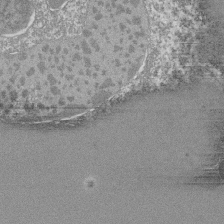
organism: Tetrahymena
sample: Cilia in tetrahymena